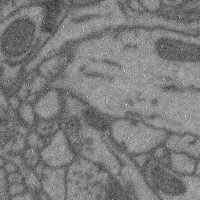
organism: Mouse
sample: Cerebral cortex